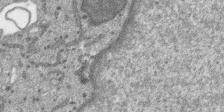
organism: Human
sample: Lung epithelial cells infected with SARS-CoV-2